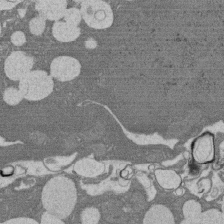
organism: Rat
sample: Salivary granule